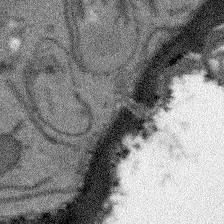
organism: Arabidopsis thaliana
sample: Root tip